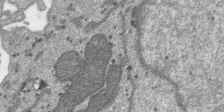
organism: Human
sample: Lung epithelial cells infected with SARS-CoV-2